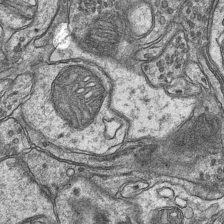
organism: Mouse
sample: CA1 Hippocampus